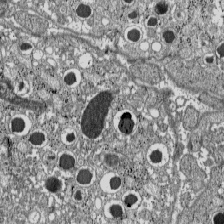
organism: C57BL Mouse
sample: Pancreatic islet